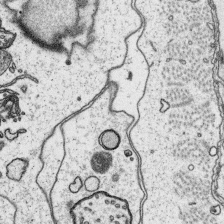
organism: Platynereis dumerilii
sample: Parapodia